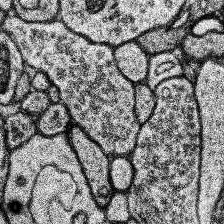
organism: Human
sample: Temporal Lobe